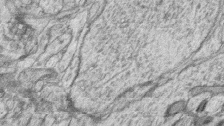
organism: Zebrafish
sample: synaptic ribbons in rod cells and cone cells